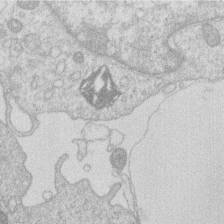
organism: Human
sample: Macrophage cells